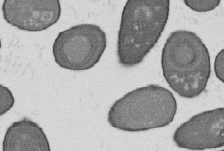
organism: B. subtilis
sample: Bacterial spore